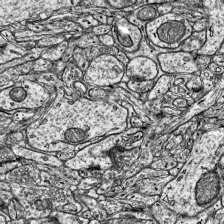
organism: Mouse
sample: Visual Cortex